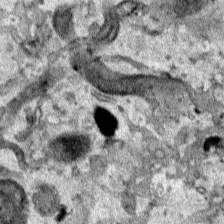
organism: Human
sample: Mitochondria in HCT116 cells